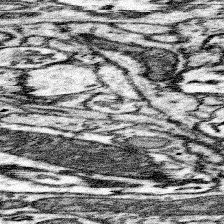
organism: Mouse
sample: Somatosensory cortex neuropil